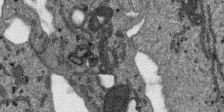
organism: Human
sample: Lung epithelial cells infected with SARS-CoV-2